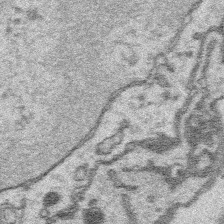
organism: Platynereis dumerilii